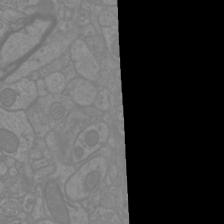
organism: Mouse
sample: Cortical neurons